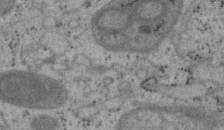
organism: Human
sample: HeLa cells